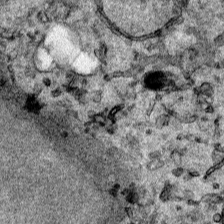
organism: Human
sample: Mitochondria in HCT116 cells